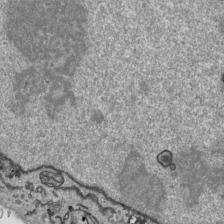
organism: Human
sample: Mitochondria in HCT116 cells